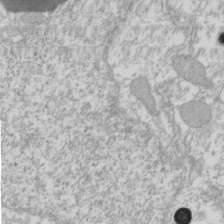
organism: Xenopus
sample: Cilia; centrioles in frog embryo cells